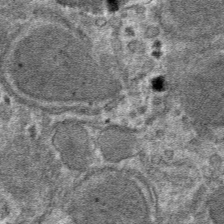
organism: Mouse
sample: Mouse hepatocytes